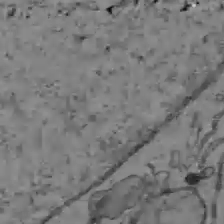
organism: C57BL Mouse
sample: Liver